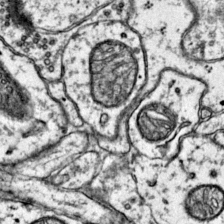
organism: Mouse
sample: Primary visual cortex